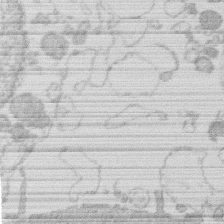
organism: Human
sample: Macrophage cells